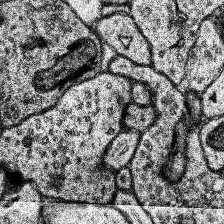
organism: Human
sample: Temporal Lobe